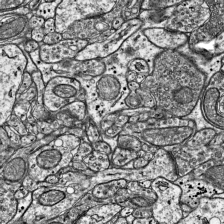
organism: Mouse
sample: Visual Cortex